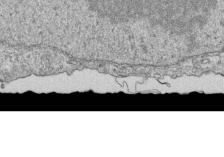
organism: Human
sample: HeLa cell HIV synapse